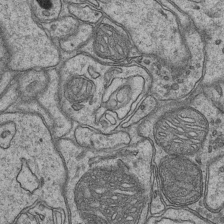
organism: Mouse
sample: CA1 Hippocampus